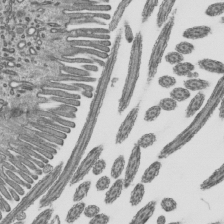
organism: Mouse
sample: Mouse epididymis efferent ductule cilia